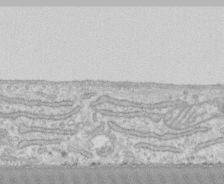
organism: Human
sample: CRL-1474